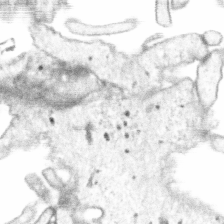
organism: Human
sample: HeLa cells